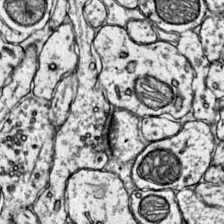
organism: Mouse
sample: Primary visual cortex